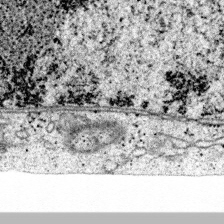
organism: Human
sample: HeLa cells